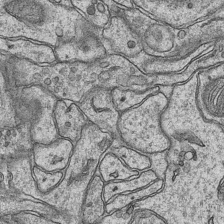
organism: Mouse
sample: CA1 Hippocampus